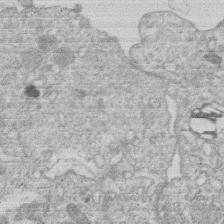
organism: Human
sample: Macrophage cells